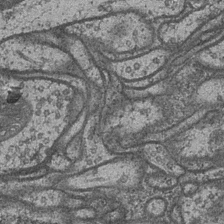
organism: Drosophila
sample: Optic medulla